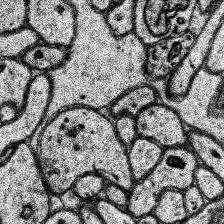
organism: Human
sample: Temporal Lobe